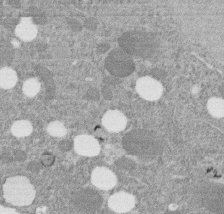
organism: C. elegans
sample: C. elegans embryo early stage